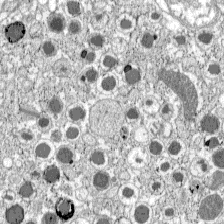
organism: C57BL Mouse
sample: Pancreatic islet